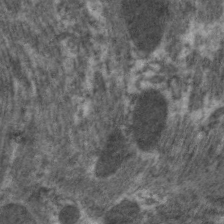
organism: C. elegans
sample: Pharynx